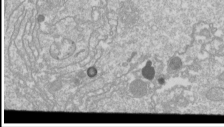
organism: Drosophila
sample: Cell division; meiosis; drosophila spermatocytes